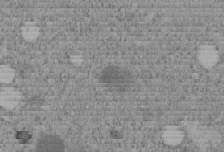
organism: C. elegans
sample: C. elegans embryo early stage